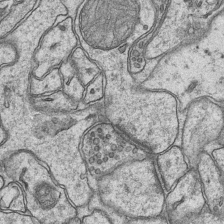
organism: Mouse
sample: CA1 Hippocampus